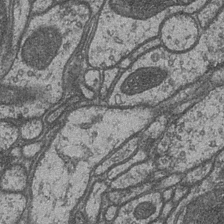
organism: Drosophila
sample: Optic medulla